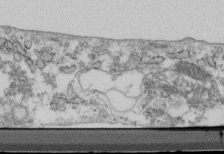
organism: Mouse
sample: Cilia; retinal pigment epithelium